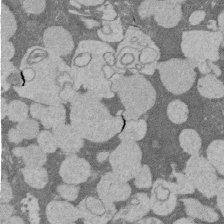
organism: Rat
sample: Salivary granule